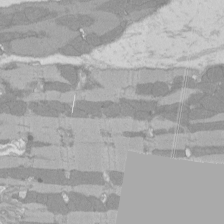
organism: Rat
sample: Left ventricle